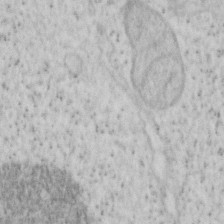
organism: Human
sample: HeLa cells